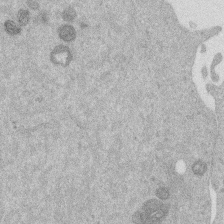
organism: Mouse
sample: Dividing mouse embryo 1 cell stage